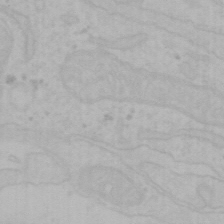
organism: Mouse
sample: Choroid plexus